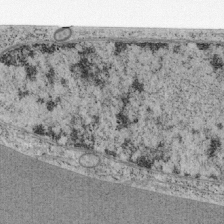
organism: Human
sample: HeLa cells